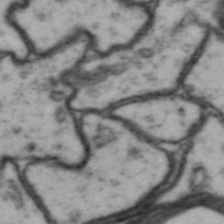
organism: Drosophila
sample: Brain